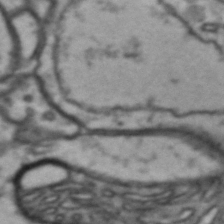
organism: Drosophila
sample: Brain